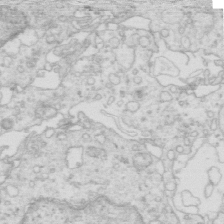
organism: Mouse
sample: Multiciliated cells